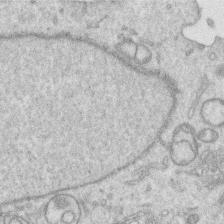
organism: Human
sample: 1205lu cells